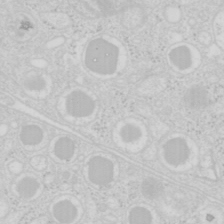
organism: Mouse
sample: Pancreas